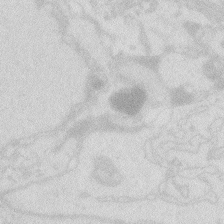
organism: Zebrafish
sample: Macrophage